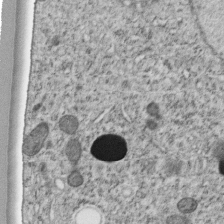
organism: C. elegans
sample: C. elegans embryo early stage